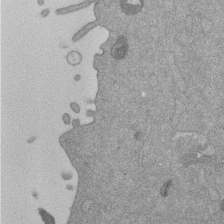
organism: Mouse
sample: Dividing mouse embryo 1 cell stage